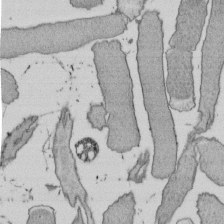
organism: E. coli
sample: Bacterial nucleoid